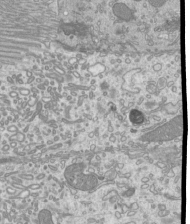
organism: Mouse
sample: Cilia; mouse epididymis